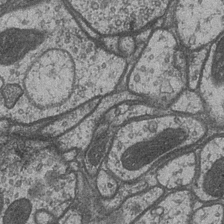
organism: Drosophila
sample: Optic medulla